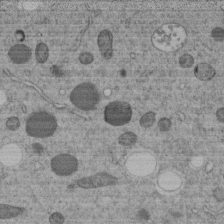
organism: C. elegans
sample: C. elegans embryo early stage